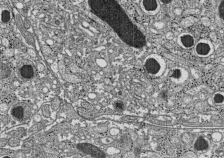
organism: C57BL Mouse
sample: Pancreatic islet